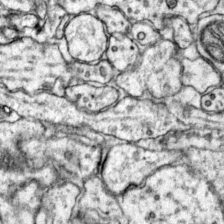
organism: Mouse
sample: Primary visual cortex